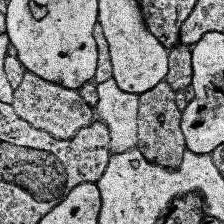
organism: Human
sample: Temporal Lobe